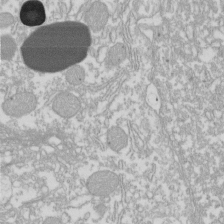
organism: Xenopus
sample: Cilia; centrioles in frog embryo cells